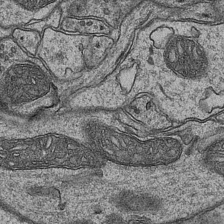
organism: Mouse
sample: CA1 Hippocampus